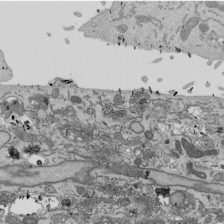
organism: Mouse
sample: ED-1 cell nuclei; centrioles